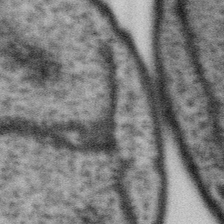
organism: Gemmata obscuriglobus